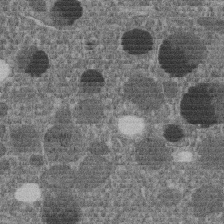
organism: C. elegans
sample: C. elegans embryo early stage